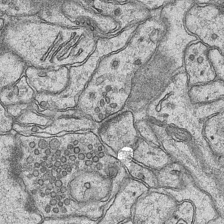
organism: Mouse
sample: CA1 Hippocampus